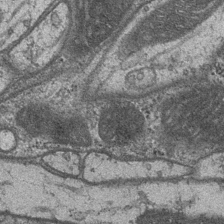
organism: Drosophila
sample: Optic medulla